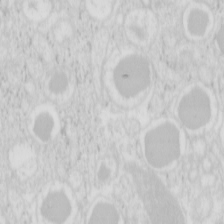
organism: Mouse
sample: Pancreas